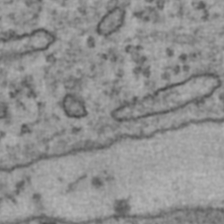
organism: Human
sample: Blood